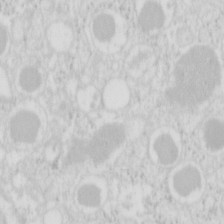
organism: Mouse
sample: Pancreas